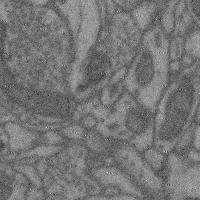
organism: Mouse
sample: Cerebral cortex